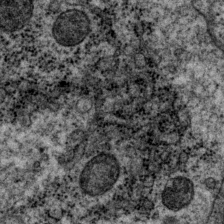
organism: P. pacificus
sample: Pharynx